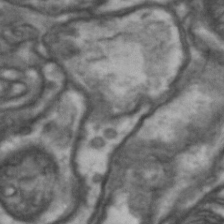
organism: Drosophila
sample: Brain